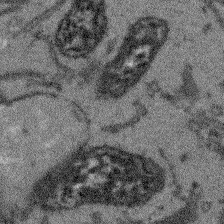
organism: Arabidopsis thaliana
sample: Root tip